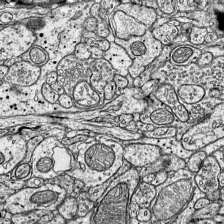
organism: Mouse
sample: Visual Cortex